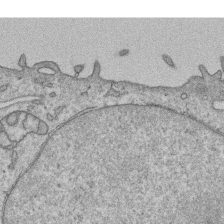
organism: Human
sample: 1205lu cells